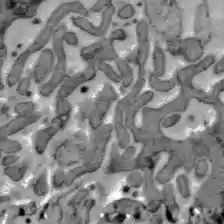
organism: C57BL Mouse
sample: Liver